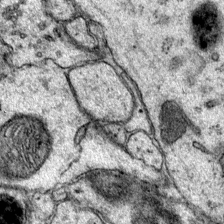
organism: Mouse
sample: Primary visual cortex